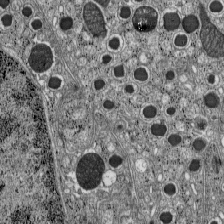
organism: C57BL Mouse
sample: Pancreatic islet